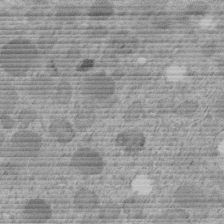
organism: C. elegans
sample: C. elegans embryo early stage